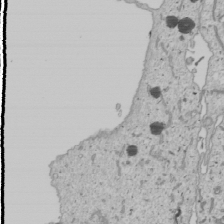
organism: Human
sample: Mitochondria in U2OS cells